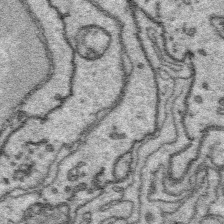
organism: Platynereis dumerilii